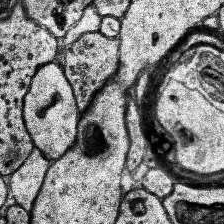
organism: Human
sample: Temporal Lobe